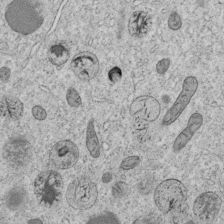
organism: C. elegans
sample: C. elegans embryo early stage